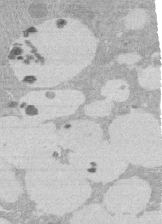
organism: Rat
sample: Salivary granule